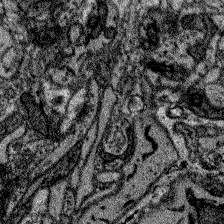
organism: Zebrafish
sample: Larval olfactory bulb